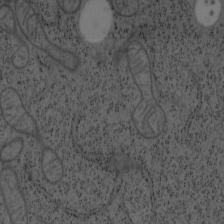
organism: Mouse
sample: OT-I killer T cells with ID8 ovarian cancer cells